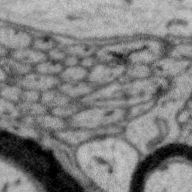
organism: Zebra finch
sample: Brain